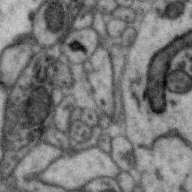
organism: Zebra finch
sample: Brain